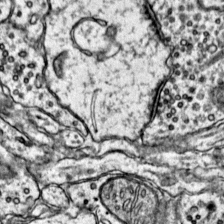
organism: Mouse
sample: Primary visual cortex